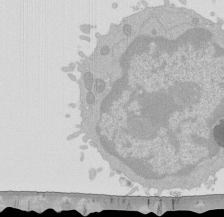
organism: Mouse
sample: Activated Pmel transgenic CD8+ T Cells